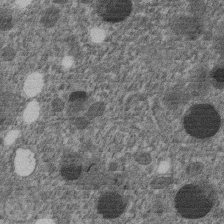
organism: C. elegans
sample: C. elegans embryo early stage